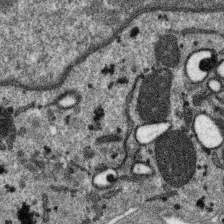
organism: Human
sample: Lung epithelial cells infected with SARS-CoV-2